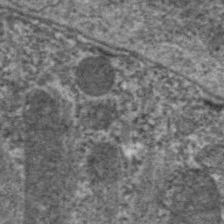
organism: C. elegans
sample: Pharynx